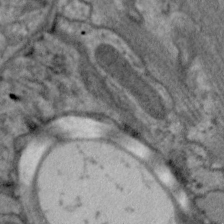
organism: C. elegans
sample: Pharynx